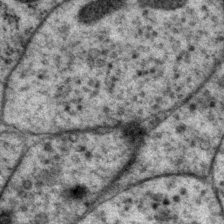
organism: P. pacificus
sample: Pharynx